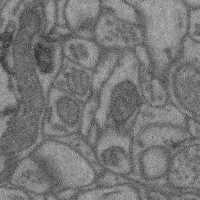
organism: Mouse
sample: Cerebral cortex